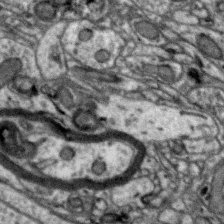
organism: Zebra finch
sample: Brain